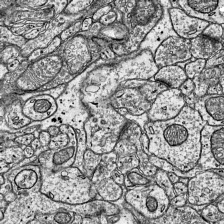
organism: Mouse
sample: Visual Cortex